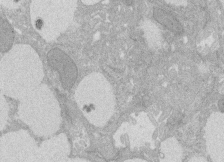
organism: Rat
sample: Salivary granule